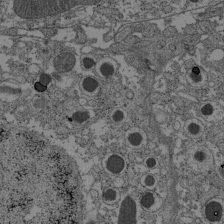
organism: C57BL Mouse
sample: Pancreatic islet